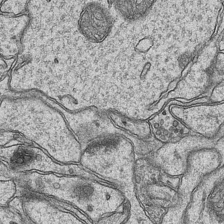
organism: Mouse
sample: CA1 Hippocampus